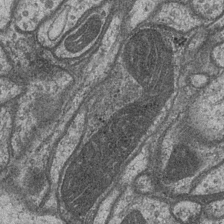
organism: Drosophila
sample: Optic medulla